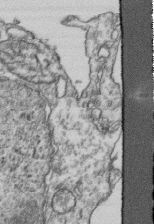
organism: Human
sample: Activated Jurkat CD4+ T cells